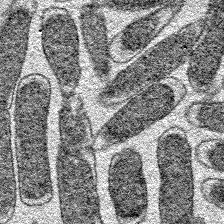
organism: E. coli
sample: E. Coli Bacteria